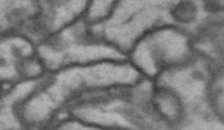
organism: Drosophila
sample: Brain